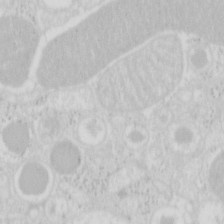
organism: Mouse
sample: Pancreas